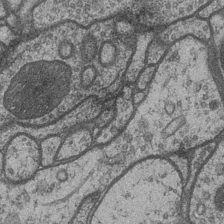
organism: Drosophila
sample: Optic medulla